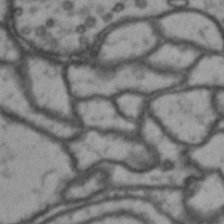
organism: Drosophila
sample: Brain